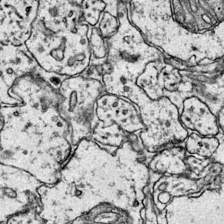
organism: Mouse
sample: Primary visual cortex